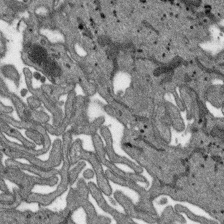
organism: Human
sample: Lung epithelial cells, uninfected (mock) control